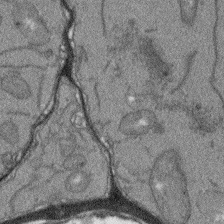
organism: Arabidopsis thaliana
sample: Root tip